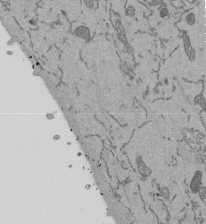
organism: Mouse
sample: ED-1 cell nuclei; centrioles